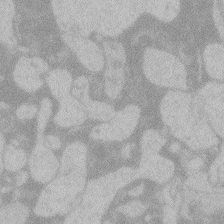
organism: Zebrafish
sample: Macrophage infected with Toxoplasma gondii